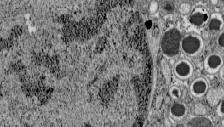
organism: C57BL Mouse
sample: Pancreatic islet